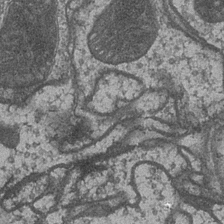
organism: Drosophila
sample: Optic medulla